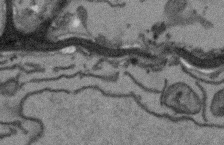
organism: Arabidopsis thaliana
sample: Root tip